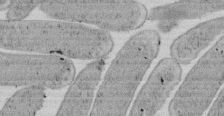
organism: E. coli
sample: Bacterial nucleoid